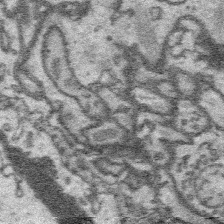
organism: Platynereis dumerilii